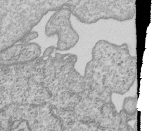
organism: Human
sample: MDA-MB-231 cells